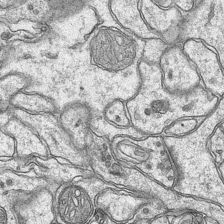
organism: Mouse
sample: CA1 Hippocampus